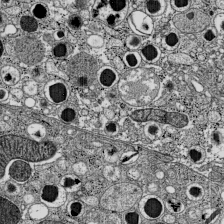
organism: C57BL Mouse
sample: Pancreatic islet